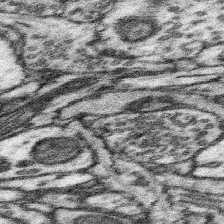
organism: Mouse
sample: Somatosensory cortex neuropil